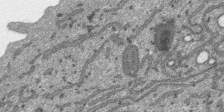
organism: Human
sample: Lung epithelial cells infected with SARS-CoV-2